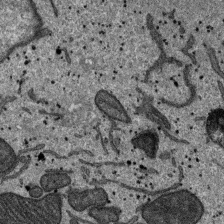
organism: Human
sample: Lung epithelial cells, uninfected (mock) control